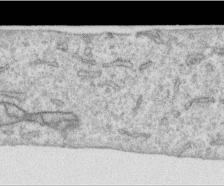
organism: Human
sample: Centriole in RPE cells